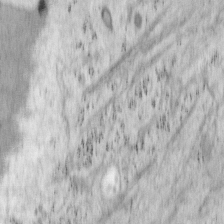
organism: Human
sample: HeLa cells